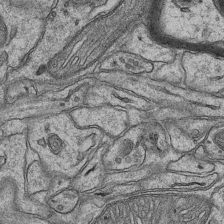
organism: Mouse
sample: CA1 Hippocampus